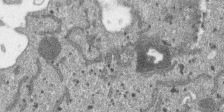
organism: Human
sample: Lung epithelial cells infected with SARS-CoV-2